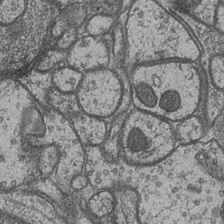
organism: Drosophila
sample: Optic medulla